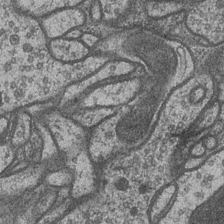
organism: Drosophila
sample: Optic medulla